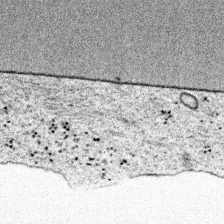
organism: Human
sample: HeLa cells